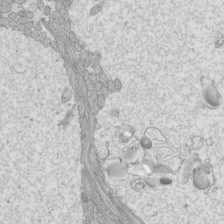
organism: Mouse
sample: Cilia; mouse epididymis